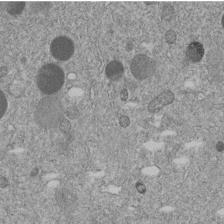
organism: C. elegans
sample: C. elegans embryo early stage